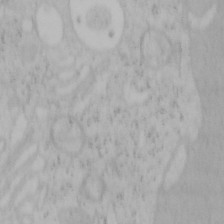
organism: Mouse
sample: OT-I killer T cells with ID8 ovarian cancer cells